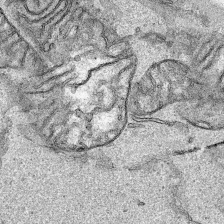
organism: Human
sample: Mitochondria in HCT116 cells